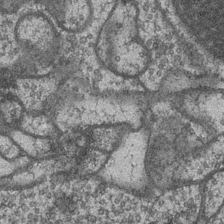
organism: Drosophila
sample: Optic medulla